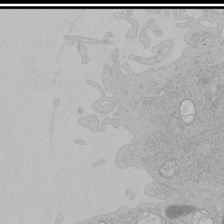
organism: Human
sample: Mitochondria in HCT116 cells